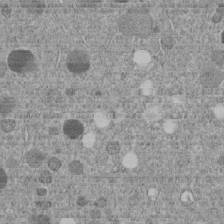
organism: C. elegans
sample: C. elegans embryo early stage